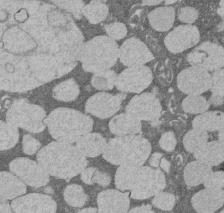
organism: Rat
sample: Salivary granule